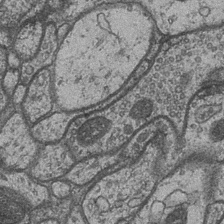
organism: Drosophila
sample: Optic medulla